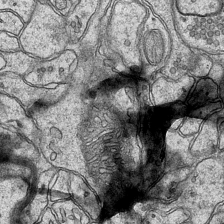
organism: Mouse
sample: CA1 Hippocampus